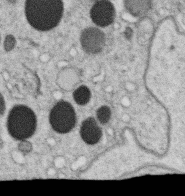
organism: C. elegans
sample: C. elegans oocyte; sperm cells